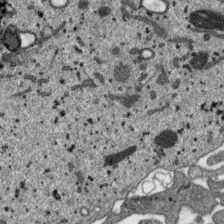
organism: Human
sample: Lung epithelial cells infected with SARS-CoV-2